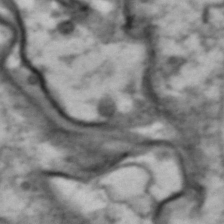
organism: Drosophila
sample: Brain